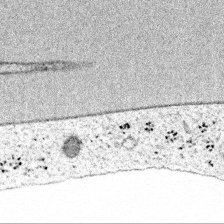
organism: Human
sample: HeLa cells